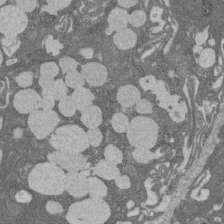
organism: Rat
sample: Salivary granule